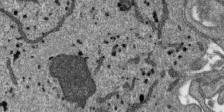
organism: Human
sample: Lung epithelial cells, uninfected (mock) control